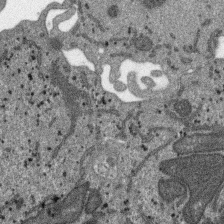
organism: Human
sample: Lung epithelial cells infected with SARS-CoV-2